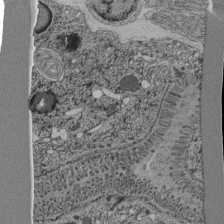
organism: C. elegans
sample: C. elegans pharynx